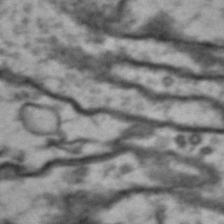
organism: Drosophila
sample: Brain